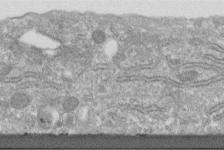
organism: Human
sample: Centriole in fibroblast cells